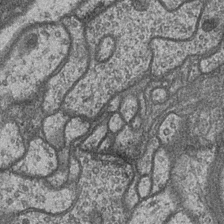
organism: Drosophila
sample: Optic medulla